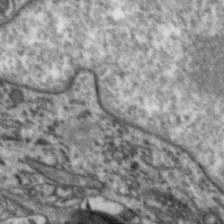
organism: Zebra finch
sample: Brain